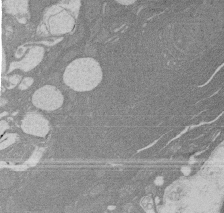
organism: Rat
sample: Salivary granule